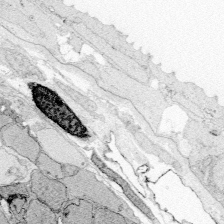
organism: Zebrafish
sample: Whole-Brain